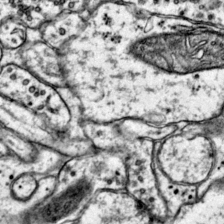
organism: Mouse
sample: Primary visual cortex